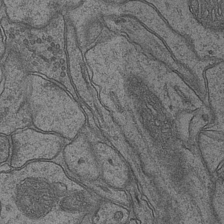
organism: Mouse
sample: CA1 Hippocampus